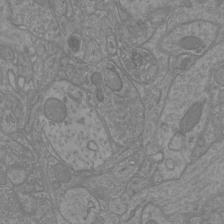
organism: Mouse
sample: Cortical neurons